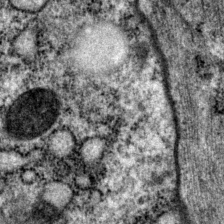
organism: P. pacificus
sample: Pharynx